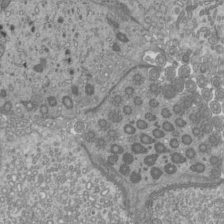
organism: Mouse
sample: Cilia; mouse epididymis